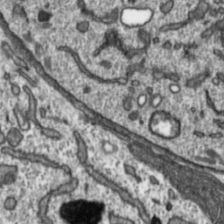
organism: Toxoplasma gondii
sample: Parasites in a vacuole inside a host cell